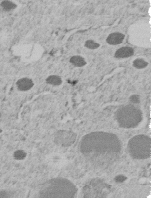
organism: C. elegans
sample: C. elegans embryo early stage